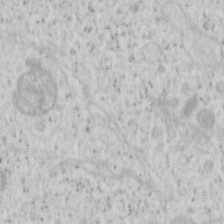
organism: Human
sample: HeLa cells